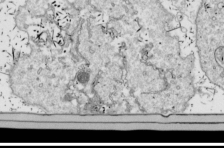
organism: Drosophila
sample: Cell division; meiosis; drosophila spermatocytes